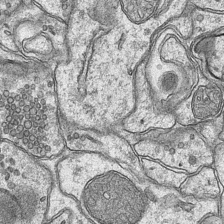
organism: Mouse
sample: CA1 Hippocampus